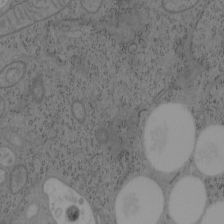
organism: Mouse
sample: OT-I killer T cells with ID8 ovarian cancer cells